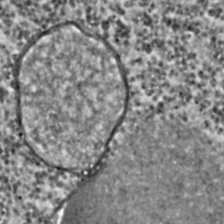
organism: C. elegans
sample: C. elegans embryo